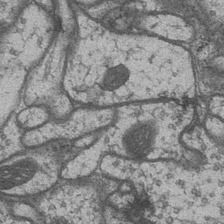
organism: Drosophila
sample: Optic medulla